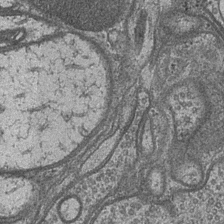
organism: Drosophila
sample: Optic medulla